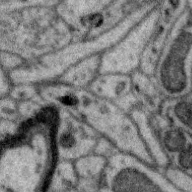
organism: Zebra finch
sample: Brain